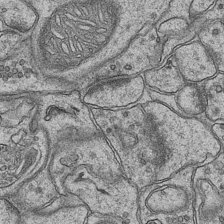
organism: Mouse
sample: CA1 Hippocampus